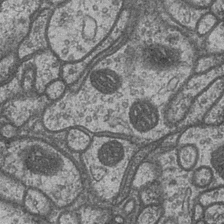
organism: Drosophila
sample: Optic medulla